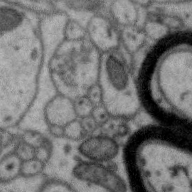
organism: Zebra finch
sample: Brain